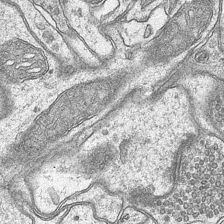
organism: Mouse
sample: CA1 Hippocampus